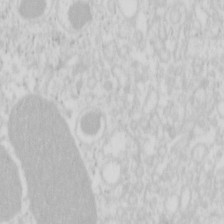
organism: Mouse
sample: Pancreas